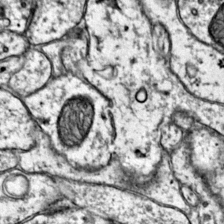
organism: Mouse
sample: Primary visual cortex